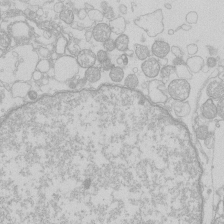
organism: Human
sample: Macrophage cells